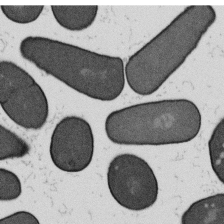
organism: B. subtilis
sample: Bacterial spore